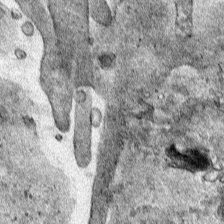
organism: Human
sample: Mitochondria in HCT116 cells